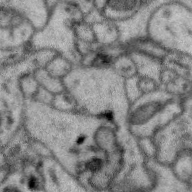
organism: Zebra finch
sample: Brain